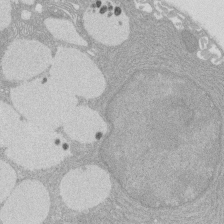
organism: Rat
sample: Salivary granule